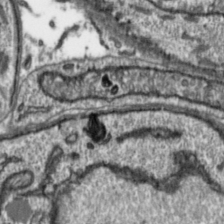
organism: Toxoplasma gondii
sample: Parasites in a vacuole inside a host cell